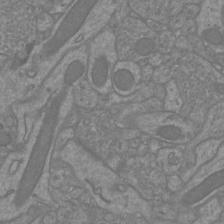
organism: Mouse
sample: Cortical neurons